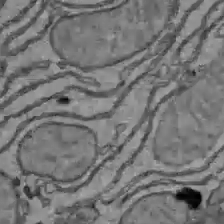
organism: C57BL Mouse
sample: Liver